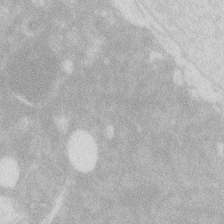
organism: Zebrafish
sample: Macrophage